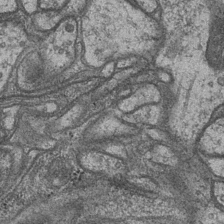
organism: Drosophila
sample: Optic medulla